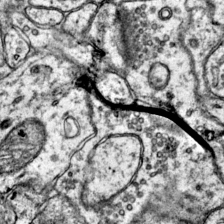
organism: Mouse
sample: Primary visual cortex